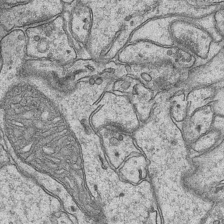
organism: Mouse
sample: CA1 Hippocampus